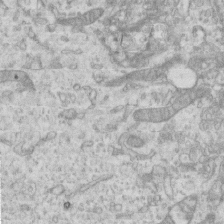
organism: Mouse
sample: Centriole in ependymal cells